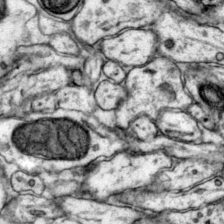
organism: Mouse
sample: Primary visual cortex